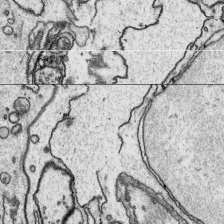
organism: Platynereis dumerilii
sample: Parapodia